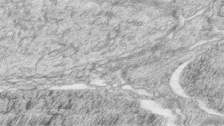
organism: Zebrafish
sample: synaptic ribbons in rod cells and cone cells